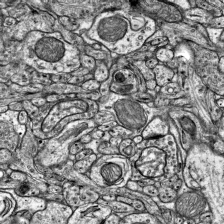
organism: Mouse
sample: Visual Cortex